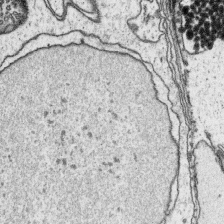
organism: Platynereis dumerilii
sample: Parapodia